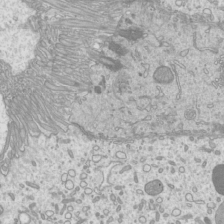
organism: Mouse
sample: Cilia; mouse epididymis